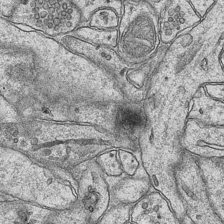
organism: Mouse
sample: CA1 Hippocampus